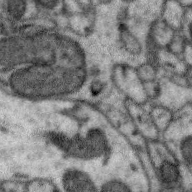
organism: Zebra finch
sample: Brain